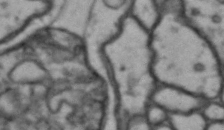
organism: Drosophila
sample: Brain